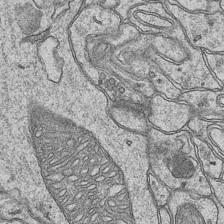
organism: Mouse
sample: CA1 Hippocampus